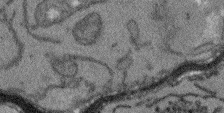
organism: Arabidopsis thaliana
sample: Root tip